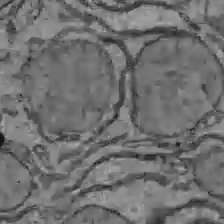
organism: C57BL Mouse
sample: Liver